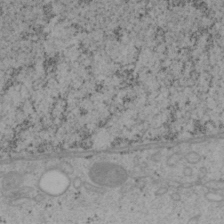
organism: Human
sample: HeLa cells